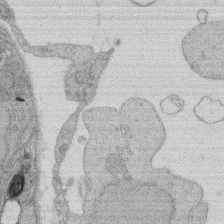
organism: Rat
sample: Salivary granule